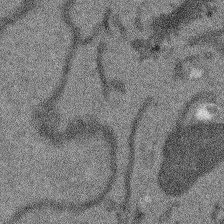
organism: Arabidopsis thaliana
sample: Root tip